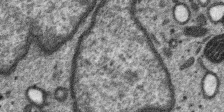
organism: Human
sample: Lung epithelial cells infected with SARS-CoV-2